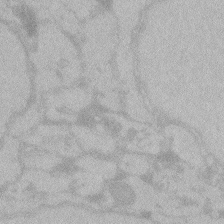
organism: Zebrafish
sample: Macrophage infected with Toxoplasma gondii